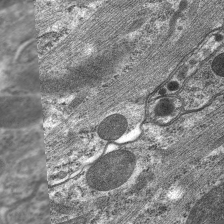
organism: C. elegans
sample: Pharynx